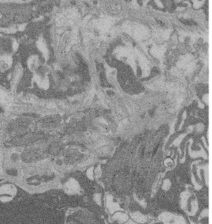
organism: Rat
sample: Salivary granule